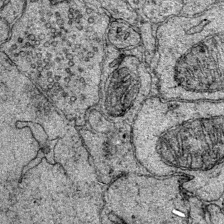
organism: Mouse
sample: Primary visual cortex